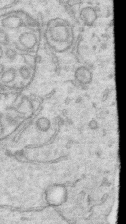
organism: Human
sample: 1205lu cells